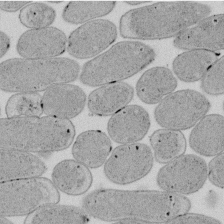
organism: E. coli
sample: Bacterial nucleoid